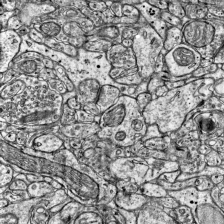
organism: Mouse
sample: Visual Cortex